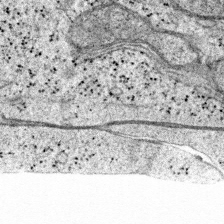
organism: Human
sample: HeLa cells